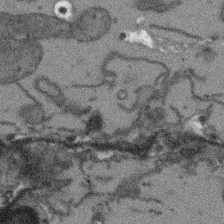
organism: Arabidopsis thaliana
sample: Root tip